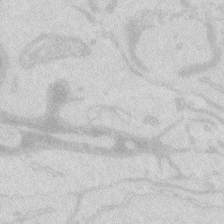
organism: Zebrafish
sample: Macrophage